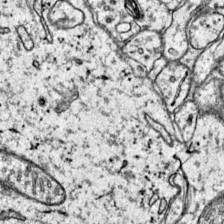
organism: Mouse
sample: Primary visual cortex